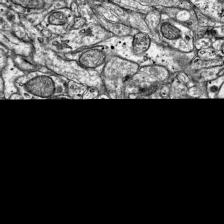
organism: Mouse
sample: Visual Cortex